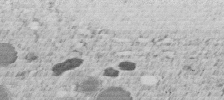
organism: C. elegans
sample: C. elegans embryo early stage